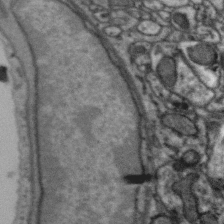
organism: Zebra finch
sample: Brain